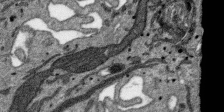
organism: Human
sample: Lung epithelial cells, uninfected (mock) control